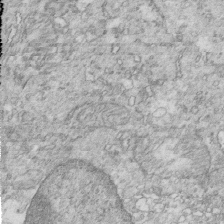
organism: Mouse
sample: Multiciliated cells